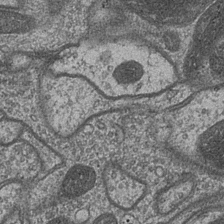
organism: Drosophila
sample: Optic medulla